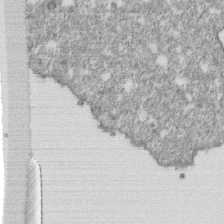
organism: African green monkey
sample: Vero E6 cells infected with SARS-CoV-2